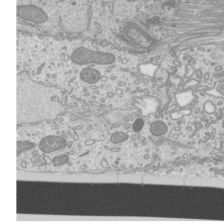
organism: Mouse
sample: Cilia; mouse epididymis